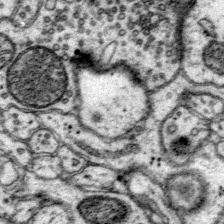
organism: Mouse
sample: Primary visual cortex